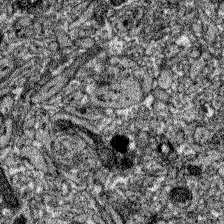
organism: Zebrafish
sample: Larval olfactory bulb